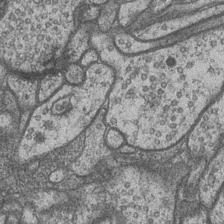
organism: Drosophila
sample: Optic medulla